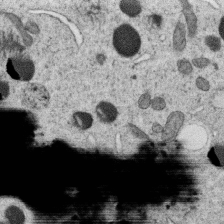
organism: C. elegans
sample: C. elegans oocyte; sperm cells